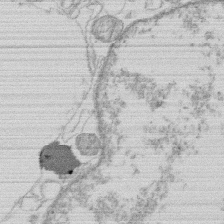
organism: Human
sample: Macrophage cells